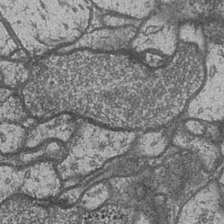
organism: Drosophila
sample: Optic medulla